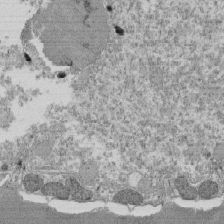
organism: Tetrahymena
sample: Cilia in tetrahymena